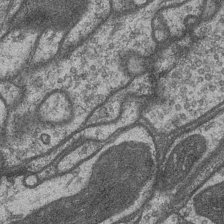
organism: Drosophila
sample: Optic medulla